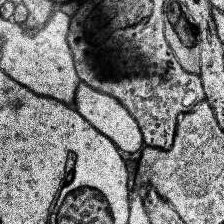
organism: Human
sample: Temporal Lobe